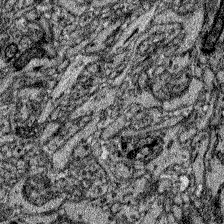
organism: Zebrafish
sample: Larval olfactory bulb